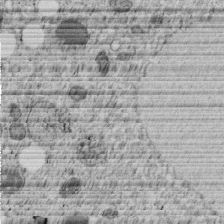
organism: C. elegans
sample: C. elegans embryo early stage